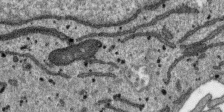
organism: Human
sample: Lung epithelial cells, uninfected (mock) control